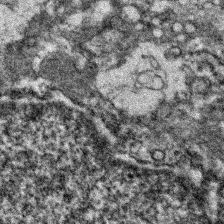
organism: Zebrafish